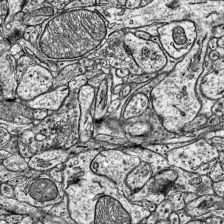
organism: Mouse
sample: Visual Cortex